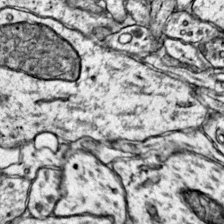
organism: Mouse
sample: Primary visual cortex